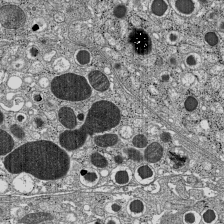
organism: C57BL Mouse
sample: Pancreatic islet